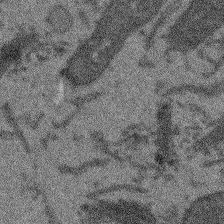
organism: Arabidopsis thaliana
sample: Root tip